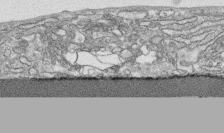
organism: Human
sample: CRL-1474